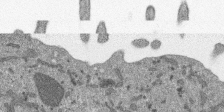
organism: Human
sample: Lung epithelial cells infected with SARS-CoV-2